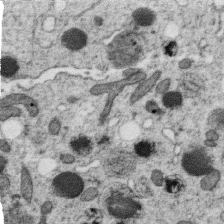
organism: C. elegans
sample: C. elegans oocyte; sperm cells